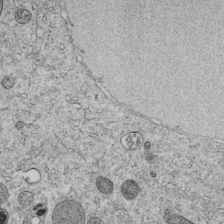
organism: C. elegans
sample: C. elegans embryo early stage